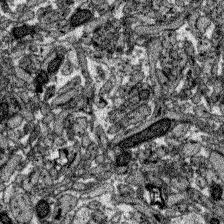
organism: Zebrafish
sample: Larval olfactory bulb